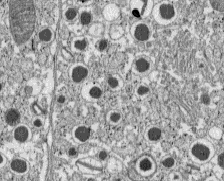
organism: C57BL Mouse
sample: Pancreatic islet